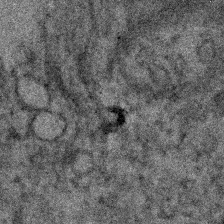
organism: Human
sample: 1205lu cells